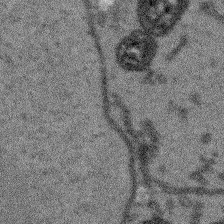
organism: Arabidopsis thaliana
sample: Root tip